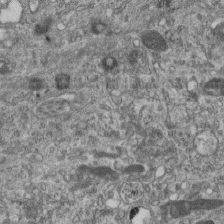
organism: Mouse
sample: Centriole in ependymal cells